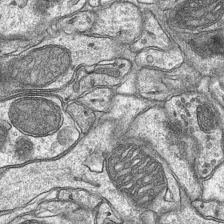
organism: Mouse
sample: CA1 Hippocampus